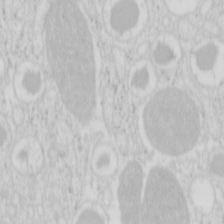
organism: Mouse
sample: Pancreas